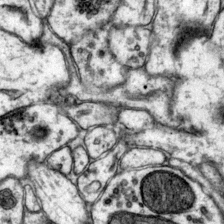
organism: Mouse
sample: Primary visual cortex